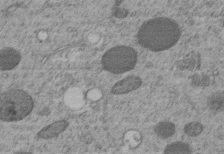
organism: C. elegans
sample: C. elegans embryo early stage